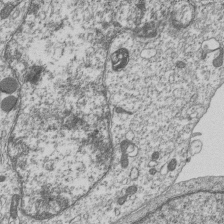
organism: Human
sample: MDA-MB-231 cells